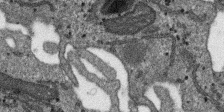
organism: Human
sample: Lung epithelial cells infected with SARS-CoV-2